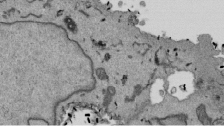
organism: Mouse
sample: ED-1 cell nuclei; centrioles